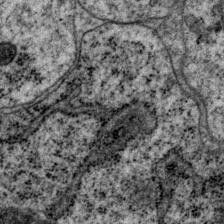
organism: P. pacificus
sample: Pharynx